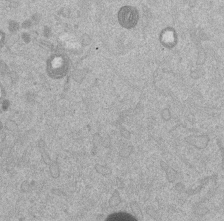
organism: Mouse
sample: Dividing mouse embryo 1 cell stage